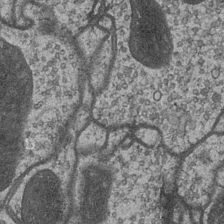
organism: Drosophila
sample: Optic medulla